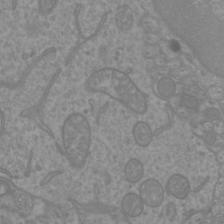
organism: Mouse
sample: Cortical neurons